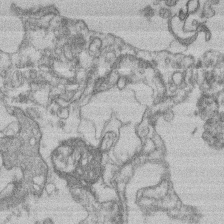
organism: Mouse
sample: T cell stromal cell synapse